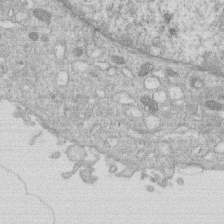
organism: Human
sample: Macrophage cells